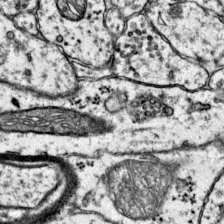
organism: Mouse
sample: Primary visual cortex